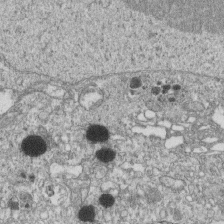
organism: Human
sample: HeLa cell HIV synapse